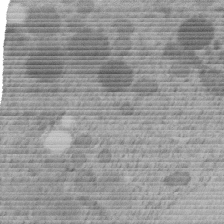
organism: C. elegans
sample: C. elegans embryo early stage